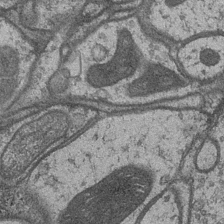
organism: Drosophila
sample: Optic medulla